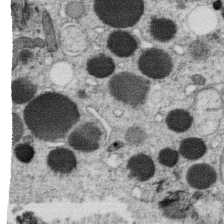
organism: C. elegans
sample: C. elegans oocyte; sperm cells